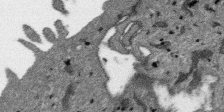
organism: Human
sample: Lung epithelial cells, uninfected (mock) control